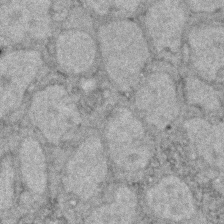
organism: Zebrafish